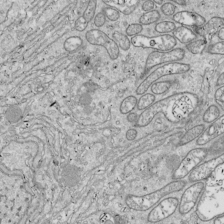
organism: Drosophila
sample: Cell division; meiosis; drosophila spermatocytes